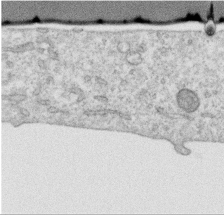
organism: Human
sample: Centriole in RPE cells